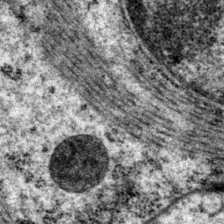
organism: P. pacificus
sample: Pharynx